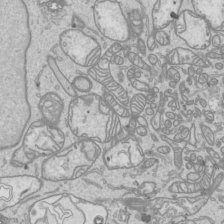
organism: Human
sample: Mitochondria in HCT116 cells